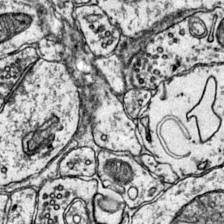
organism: Mouse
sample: Primary visual cortex